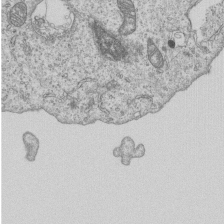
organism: Human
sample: MDA-MB-231 cells